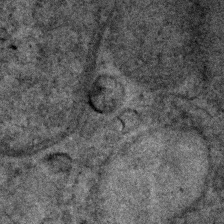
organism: Human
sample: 1205lu cells